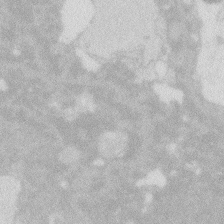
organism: Zebrafish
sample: Macrophage